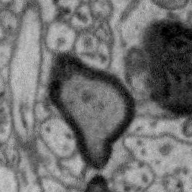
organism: Zebra finch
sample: Brain